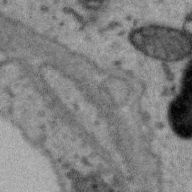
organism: Zebra finch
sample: Brain